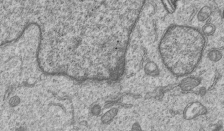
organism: Human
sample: MDA-MB-231 cells